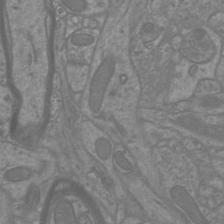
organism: Mouse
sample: Cortical neurons